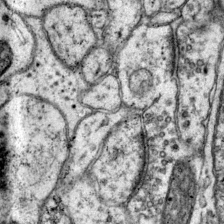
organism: Mouse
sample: Primary visual cortex